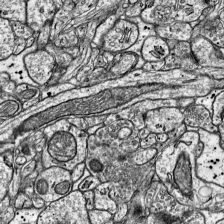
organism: Mouse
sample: Visual Cortex